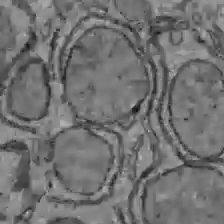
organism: C57BL Mouse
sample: Liver